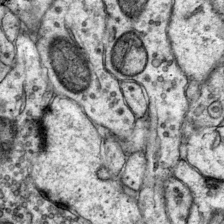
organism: Mouse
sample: Primary visual cortex